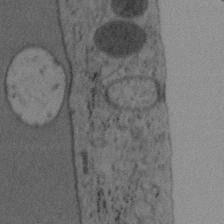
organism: Human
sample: HeLa cells